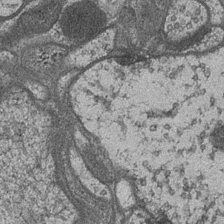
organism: Drosophila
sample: Optic medulla